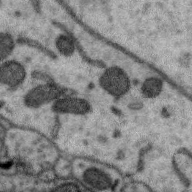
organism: Zebra finch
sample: Brain